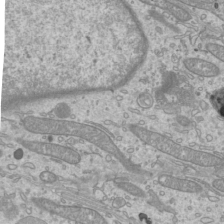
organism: Mouse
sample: Cilia; mouse epididymis